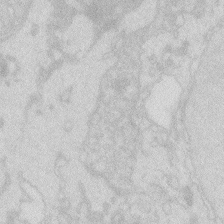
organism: Zebrafish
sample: Macrophage